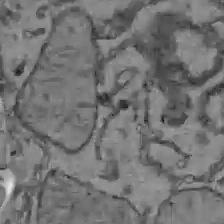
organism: C57BL Mouse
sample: Liver